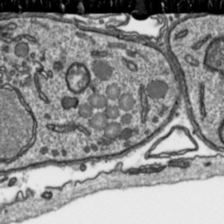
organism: Toxoplasma gondii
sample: Parasites in a vacuole inside a host cell